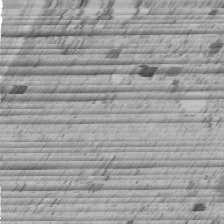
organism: C. elegans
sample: C. elegans embryo early stage